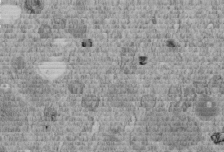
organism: C. elegans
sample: C. elegans embryo early stage